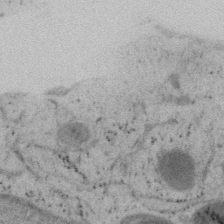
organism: Human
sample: HeLa cells